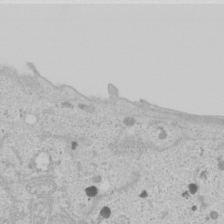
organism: Human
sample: Mitochondria in U2OS cells